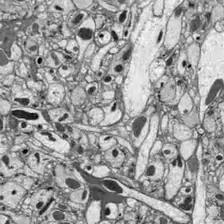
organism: Drosophila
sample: Optic lobe